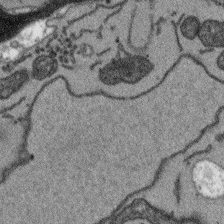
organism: Arabidopsis thaliana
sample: Root tip